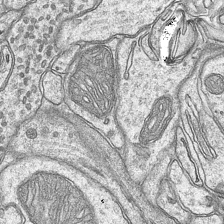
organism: Mouse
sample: CA1 Hippocampus